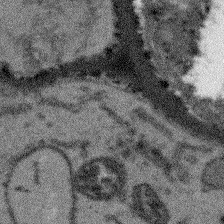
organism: Arabidopsis thaliana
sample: Root tip